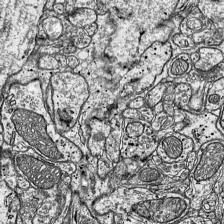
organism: Mouse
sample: Visual Cortex